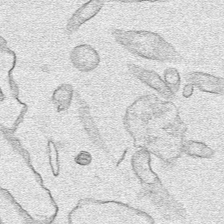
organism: Human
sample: Mitochondria in HCT116 cells